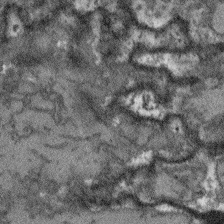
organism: Arabidopsis thaliana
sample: Root tip